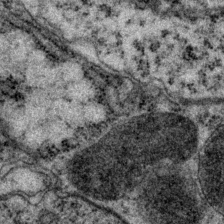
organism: P. pacificus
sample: Pharynx